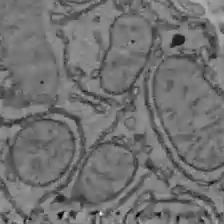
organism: C57BL Mouse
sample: Liver